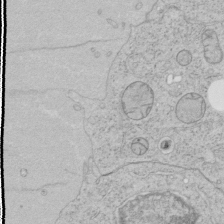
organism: Human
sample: Mitochondria in HCT116 cells